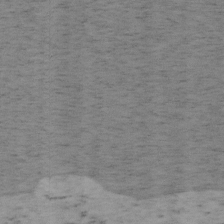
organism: Mouse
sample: OT-I killer T cells with ID8 ovarian cancer cells